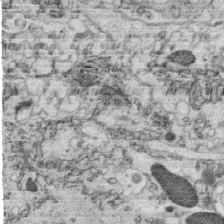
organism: C. elegans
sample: C. elegans oocyte; sperm cells